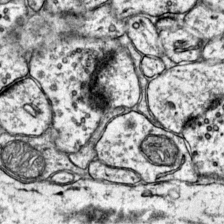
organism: Mouse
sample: Primary visual cortex